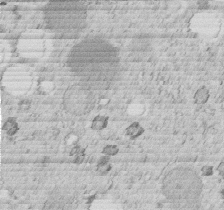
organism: C. elegans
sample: C. elegans embryo early stage